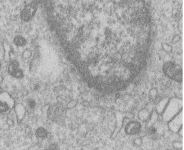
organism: Human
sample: Macrophage cells